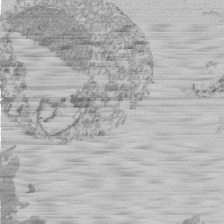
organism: Mouse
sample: Activated Pmel transgenic CD8+ T Cells